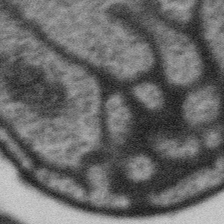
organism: Gemmata obscuriglobus